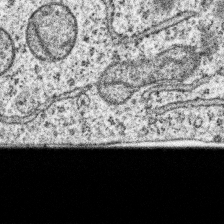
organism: Human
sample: HeLa cells